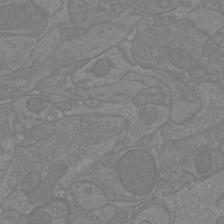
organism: Mouse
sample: Cortical neurons